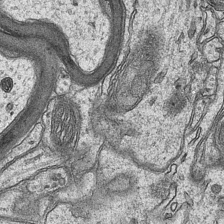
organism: Mouse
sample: CA1 Hippocampus